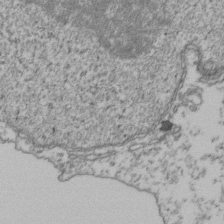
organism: Human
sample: Activated Jurkat CD4+ T cells